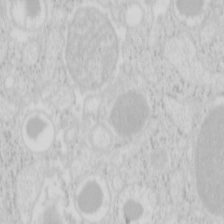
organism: Mouse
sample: Pancreas